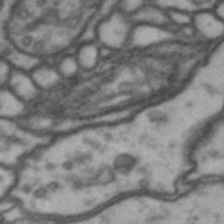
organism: Drosophila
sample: Brain